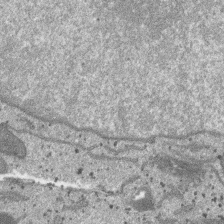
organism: Human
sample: Lung epithelial cells infected with SARS-CoV-2